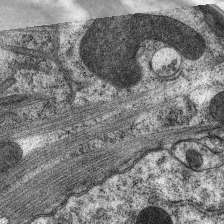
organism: C. elegans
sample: Pharynx